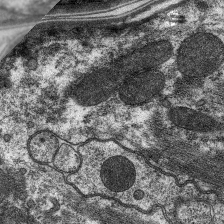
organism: C. elegans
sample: Pharynx